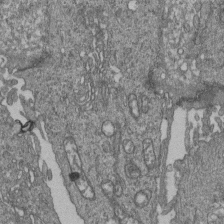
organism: Human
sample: Retinal organoid Rod and Cone cells